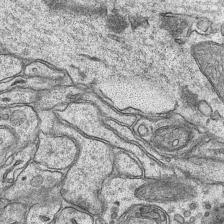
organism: Mouse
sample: CA1 Hippocampus